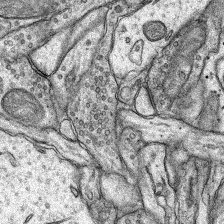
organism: Rat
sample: Hippocampus